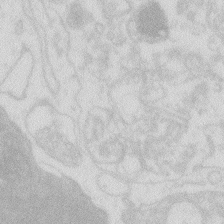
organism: Zebrafish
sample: Macrophage